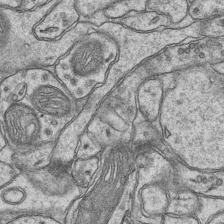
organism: Mouse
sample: CA1 Hippocampus